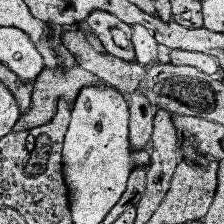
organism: Human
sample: Temporal Lobe